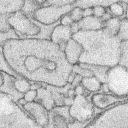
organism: Rabbit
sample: Retina